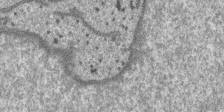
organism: Human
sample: Lung epithelial cells infected with SARS-CoV-2